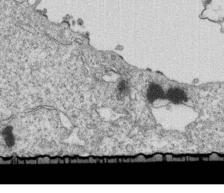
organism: Human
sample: HeLa cell HIV synapse